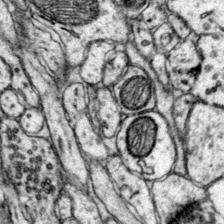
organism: Mouse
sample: Primary visual cortex